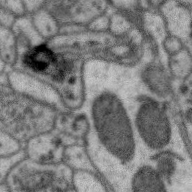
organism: Zebra finch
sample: Brain